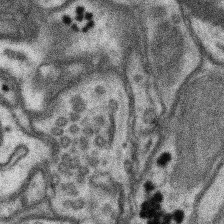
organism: Mouse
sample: Somatosensory cortex neuropil